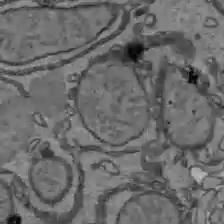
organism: C57BL Mouse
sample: Liver